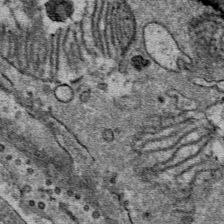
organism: Mouse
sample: Mouse Salivary gland